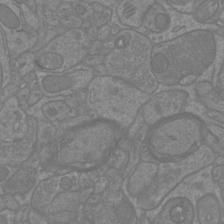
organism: Mouse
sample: Cortical neurons